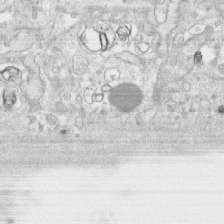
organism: Human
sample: CRL-1474